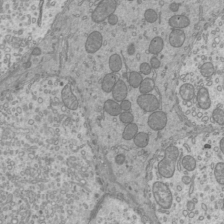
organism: Mouse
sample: Cilia; mouse epididymis